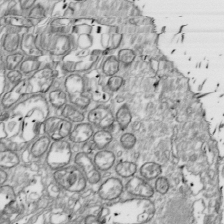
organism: Drosophila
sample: Cell division; meiosis; drosophila spermatocytes